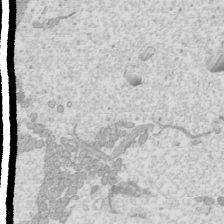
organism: Mouse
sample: Cilia; mouse epididymis